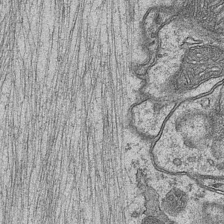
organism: Mouse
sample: CA1 Hippocampus